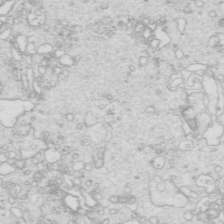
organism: Mouse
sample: Multiciliated cells